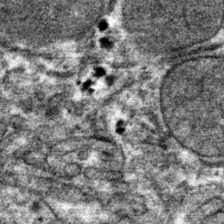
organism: Mouse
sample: Mouse hepatocytes